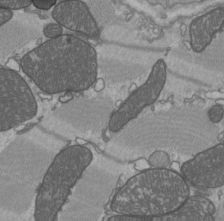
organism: C57BL Mouse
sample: Heart